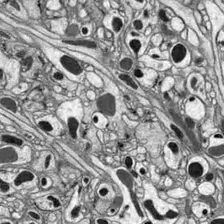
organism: Drosophila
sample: Optic lobe